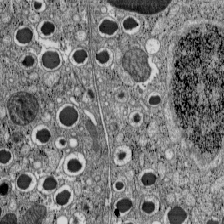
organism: C57BL Mouse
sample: Pancreatic islet